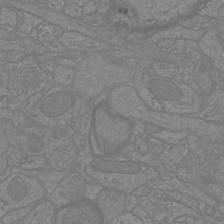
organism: Mouse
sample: Cortical neurons